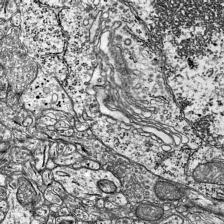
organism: Mouse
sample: Visual Cortex